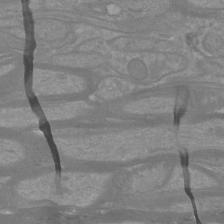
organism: Mouse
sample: Cortical neurons